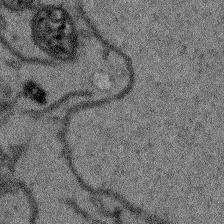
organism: Arabidopsis thaliana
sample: Root tip